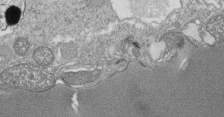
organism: Tetrahymena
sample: Cilia in tetrahymena